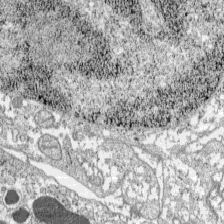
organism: C57BL Mouse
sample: Pancreatic islet